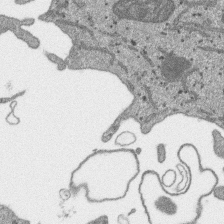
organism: Human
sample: Lung epithelial cells infected with SARS-CoV-2